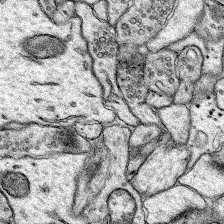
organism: Rat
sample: Hippocampus